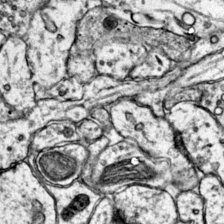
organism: Mouse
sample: Primary visual cortex